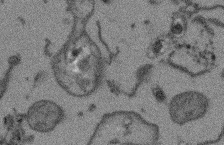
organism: Arabidopsis thaliana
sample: Root tip